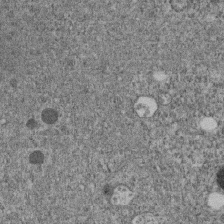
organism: C. elegans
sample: C. elegans embryo early stage